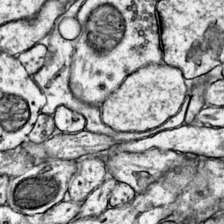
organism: Mouse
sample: Primary visual cortex